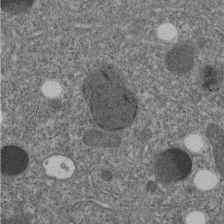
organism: C. elegans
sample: C. elegans embryo early stage